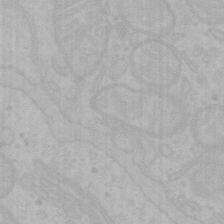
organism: Mouse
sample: Choroid plexus